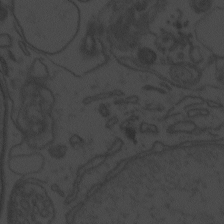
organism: Zebrafish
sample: Macrophage infected with Toxoplasma gondii